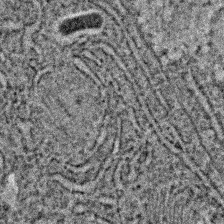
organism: C. elegans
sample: C. elegans embryo